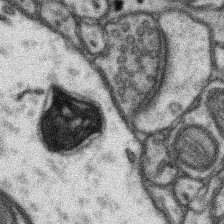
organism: Mouse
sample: Somatosensory cortex neuropil